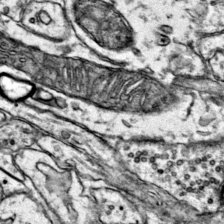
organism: Mouse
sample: Primary visual cortex